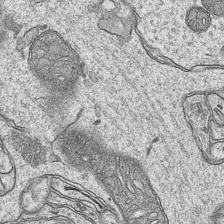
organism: Mouse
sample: CA1 Hippocampus